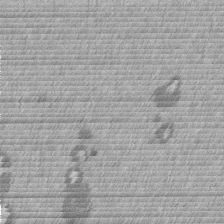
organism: Mouse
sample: Dividing mouse embryo 1 cell stage